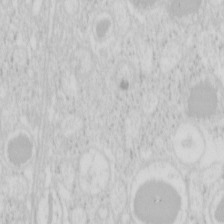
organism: Mouse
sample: Pancreas